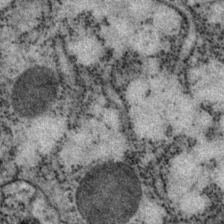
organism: P. pacificus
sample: Pharynx